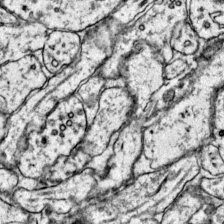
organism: Mouse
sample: Primary visual cortex